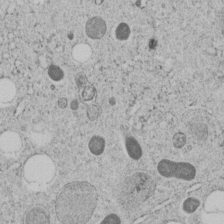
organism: C. elegans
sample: C. elegans embryo early stage